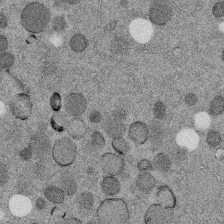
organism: C. elegans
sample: C. elegans embryo early stage